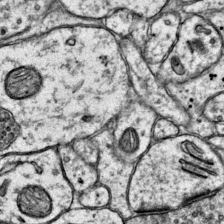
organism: Mouse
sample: Primary visual cortex